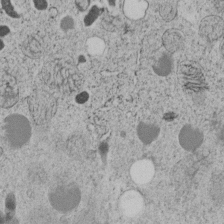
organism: C. elegans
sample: C. elegans embryo early stage